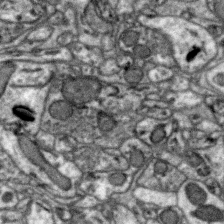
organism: Zebra finch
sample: Brain